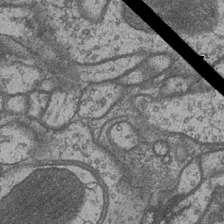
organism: Drosophila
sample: Optic medulla